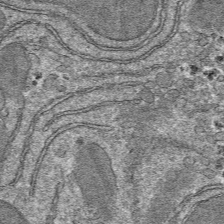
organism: Mouse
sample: Mouse hepatocytes